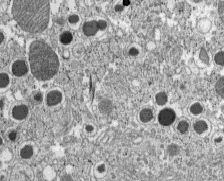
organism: C57BL Mouse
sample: Pancreatic islet